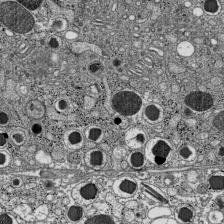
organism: C57BL Mouse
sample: Pancreatic islet